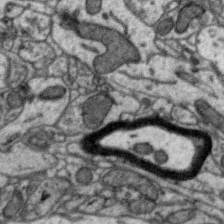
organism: Zebra finch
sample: Brain